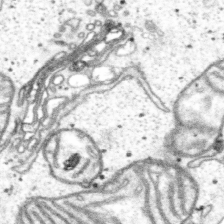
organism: Human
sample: HeLa cells